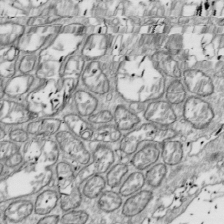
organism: Drosophila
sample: Cell division; meiosis; drosophila spermatocytes